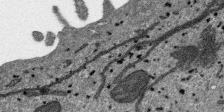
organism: Human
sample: Lung epithelial cells, uninfected (mock) control